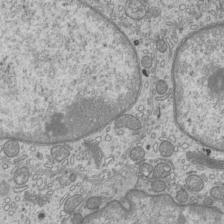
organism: Mouse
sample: Cilia; mouse epididymis